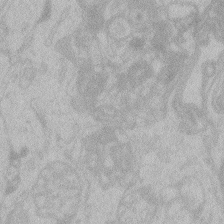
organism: Zebrafish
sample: Macrophage infected with Toxoplasma gondii